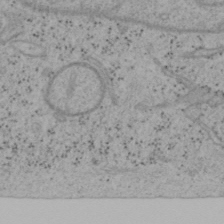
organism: Human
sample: HeLa cells